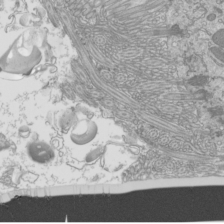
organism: Mouse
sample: Cilia; mouse epididymis